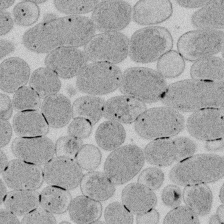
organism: E. coli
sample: Bacterial nucleoid